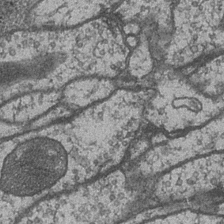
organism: Drosophila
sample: Optic medulla